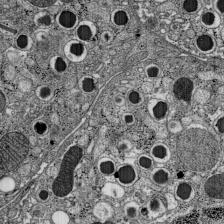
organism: C57BL Mouse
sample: Pancreatic islet